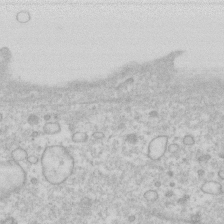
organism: Human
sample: Fibroblast cells